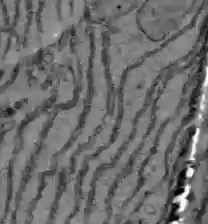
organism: C57BL Mouse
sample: Liver